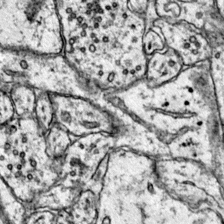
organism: Mouse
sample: Primary visual cortex